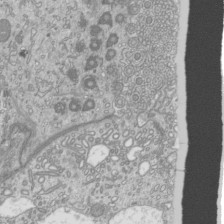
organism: Mouse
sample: Cilia; mouse epididymis